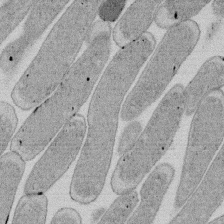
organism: E. coli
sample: Bacterial nucleoid